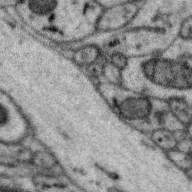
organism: Zebra finch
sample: Brain